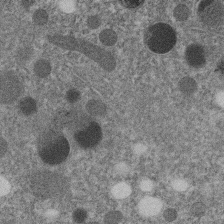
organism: C. elegans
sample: C. elegans embryo early stage